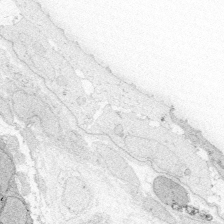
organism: Zebrafish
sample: Whole-Brain